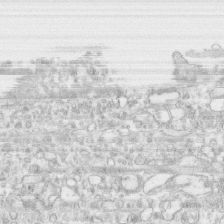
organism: Human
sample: CRL-1474